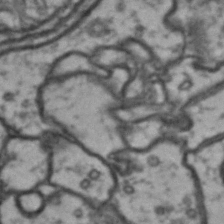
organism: Drosophila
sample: Brain